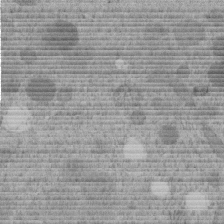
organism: C. elegans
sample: C. elegans embryo early stage